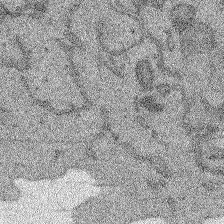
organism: Human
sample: HeLa cells